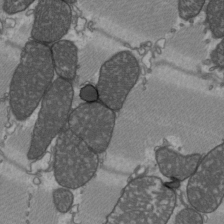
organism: C57BL Mouse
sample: Heart